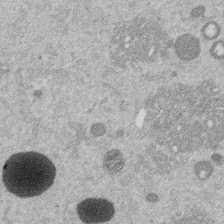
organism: Mouse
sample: Dividing mouse embryo 1 cell stage